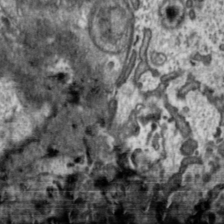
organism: Toxoplasma gondii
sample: Parasites in a vacuole inside a host cell